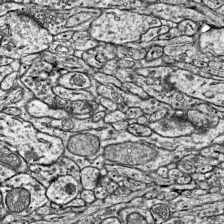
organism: Mouse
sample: Visual Cortex